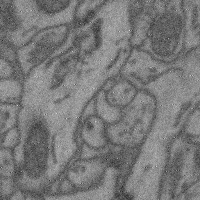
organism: Mouse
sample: Cerebral cortex